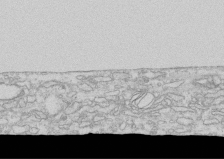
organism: Human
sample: CRL-1474